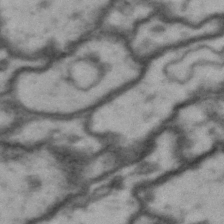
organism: Drosophila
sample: Brain